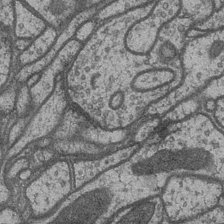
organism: Drosophila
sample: Optic medulla